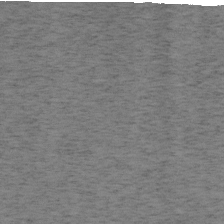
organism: Mouse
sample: OT-I killer T cells with ID8 ovarian cancer cells